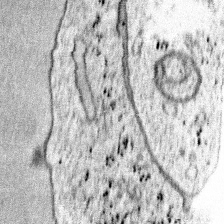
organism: Human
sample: HeLa cells